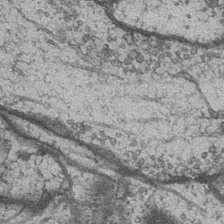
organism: Drosophila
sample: Optic medulla